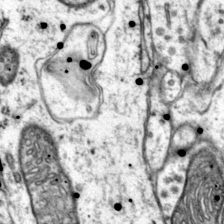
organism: Mouse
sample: Primary visual cortex